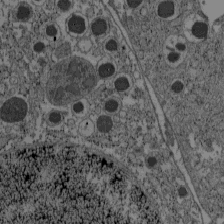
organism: C57BL Mouse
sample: Pancreatic islet